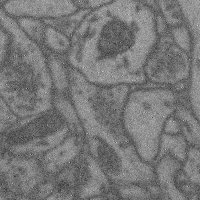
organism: Mouse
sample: Cerebral cortex